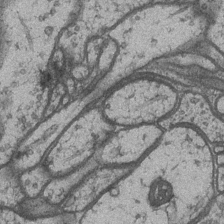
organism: Drosophila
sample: Optic medulla